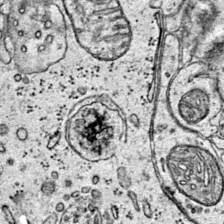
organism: Mouse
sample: Primary visual cortex